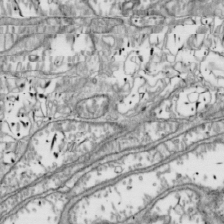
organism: Drosophila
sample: Cell division; meiosis; drosophila spermatocytes